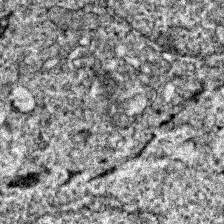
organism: Zebrafish